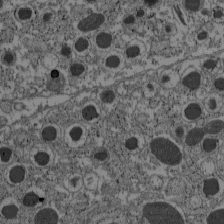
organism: C57BL Mouse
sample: Pancreatic islet